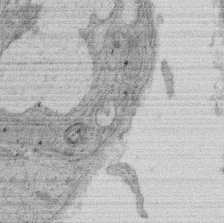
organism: Rat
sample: Salivary granule